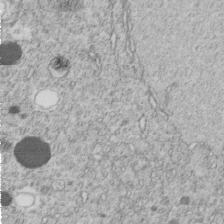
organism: C. elegans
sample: C. elegans embryo early stage